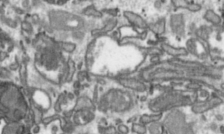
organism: Toxoplasma gondii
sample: Parasites in a vacuole inside a host cell